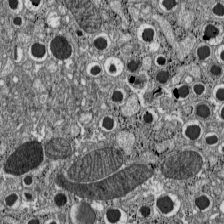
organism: C57BL Mouse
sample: Pancreatic islet